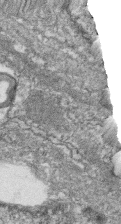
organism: Zebrafish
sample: Cilia; retinal pigment epithelium